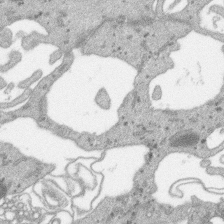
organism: Human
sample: Lung epithelial cells infected with SARS-CoV-2